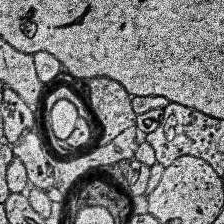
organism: Human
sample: Temporal Lobe